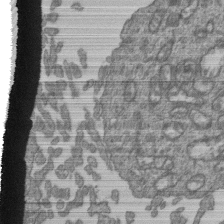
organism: Human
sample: Retinal organoid Rod and Cone cells